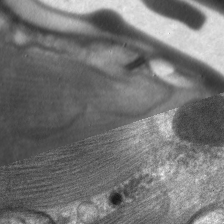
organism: C. elegans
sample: Pharynx